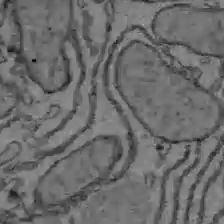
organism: C57BL Mouse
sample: Liver